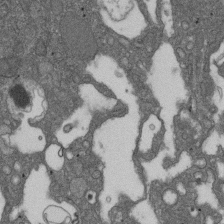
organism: Drosophila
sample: Nephrocyte